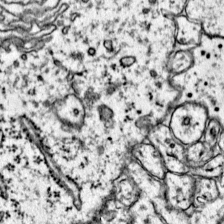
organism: Mouse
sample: Primary visual cortex